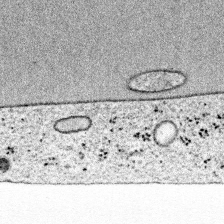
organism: Human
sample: HeLa cells